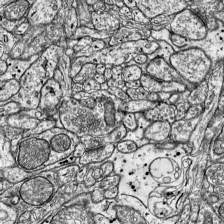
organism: Mouse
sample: Visual Cortex